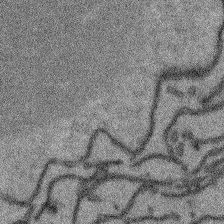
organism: Arabidopsis thaliana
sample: Root tip